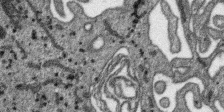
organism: Human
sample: Lung epithelial cells infected with SARS-CoV-2